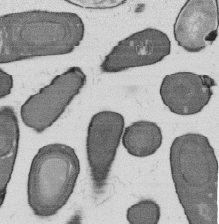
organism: B. subtilis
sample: Bacterial spore